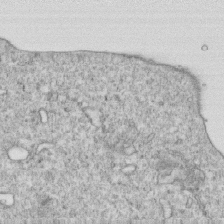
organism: Mouse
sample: Activated OT-1 CD8+ T cells